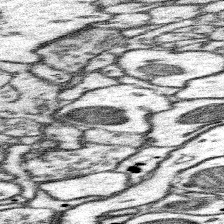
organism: Mouse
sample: Somatosensory cortex neuropil